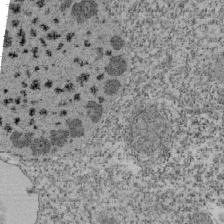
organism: Tetrahymena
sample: Cilia in tetrahymena